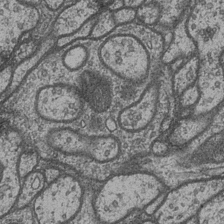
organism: Drosophila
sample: Optic medulla